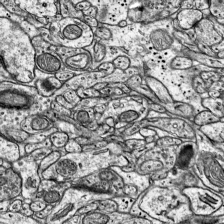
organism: Mouse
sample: Visual Cortex